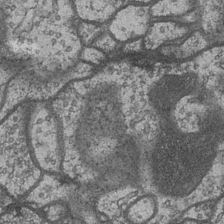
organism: Drosophila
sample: Optic medulla